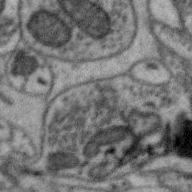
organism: Zebra finch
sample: Brain